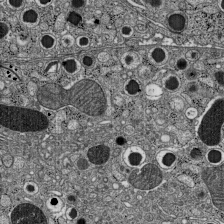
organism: C57BL Mouse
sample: Pancreatic islet